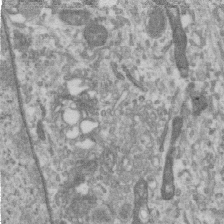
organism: Human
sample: Centriole in RPE cells